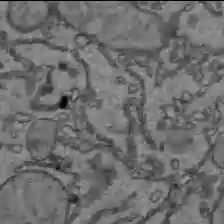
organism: C57BL Mouse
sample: Liver